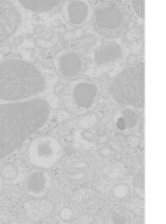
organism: Mouse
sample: Pancreas